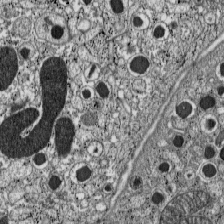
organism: C57BL Mouse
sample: Pancreatic islet